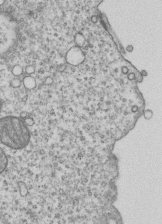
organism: Human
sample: MDA-MB-231 cells